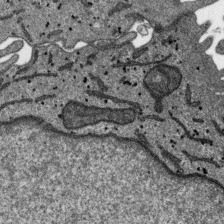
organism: Human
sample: Lung epithelial cells, uninfected (mock) control